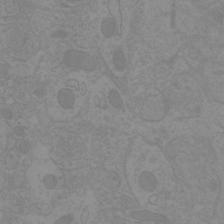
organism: Mouse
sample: Cortical neurons